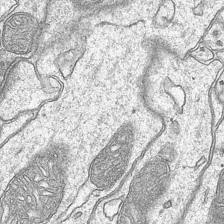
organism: Mouse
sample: CA1 Hippocampus